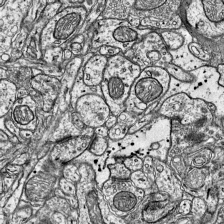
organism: Mouse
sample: Visual Cortex